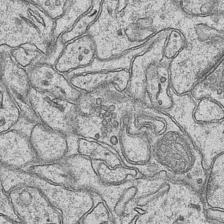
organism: Mouse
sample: CA1 Hippocampus